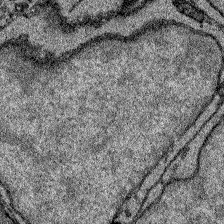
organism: Zebrafish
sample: Larval olfactory bulb